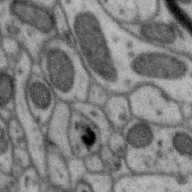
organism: Zebra finch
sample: Brain